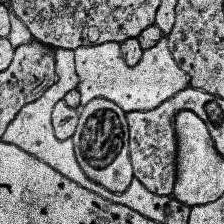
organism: Human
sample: Temporal Lobe